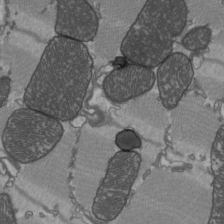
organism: C57BL Mouse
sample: Heart